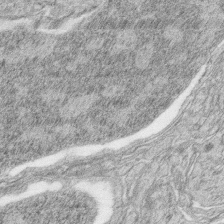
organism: Zebrafish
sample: synaptic ribbons in rod cells and cone cells